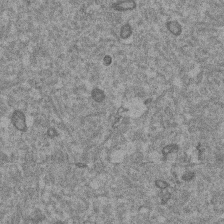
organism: Mouse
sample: Dividing mouse embryo 1 cell stage